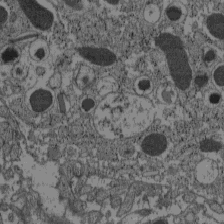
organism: C57BL Mouse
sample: Pancreatic islet